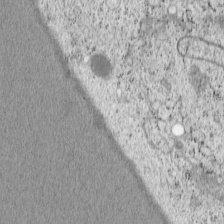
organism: African green monkey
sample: COS-7 cells